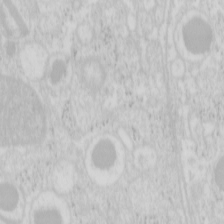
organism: Mouse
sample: Pancreas